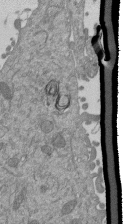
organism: Mouse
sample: ED-1 cell nuclei; centrioles